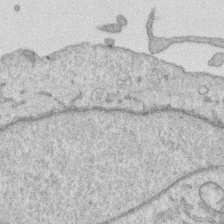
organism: Human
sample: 1205lu cells